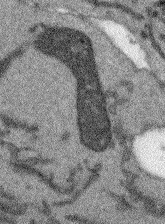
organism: Arabidopsis thaliana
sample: Root tip